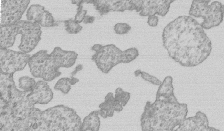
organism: Human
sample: MDA-MB-231 cells